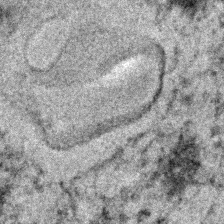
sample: Trachea